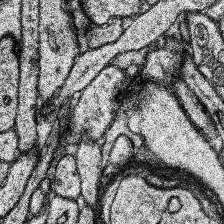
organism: Human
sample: Temporal Lobe